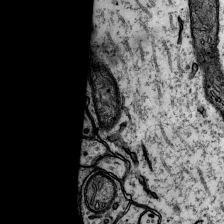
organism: Rat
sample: Hippocampus